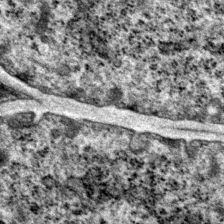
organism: P. pacificus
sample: Pharynx